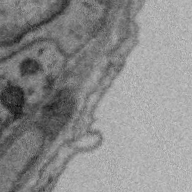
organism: Zebra finch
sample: Brain